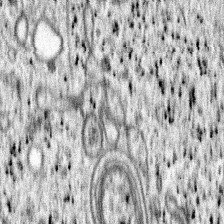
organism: Human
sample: HeLa cells